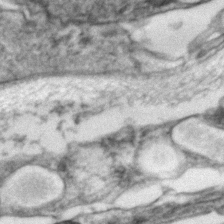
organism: Zebrafish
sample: Zebrafish embryo